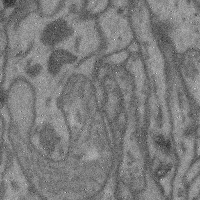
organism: Mouse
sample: Cerebral cortex